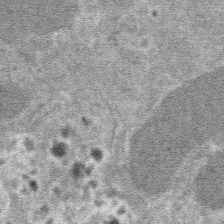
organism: Mouse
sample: Mouse hepatocytes